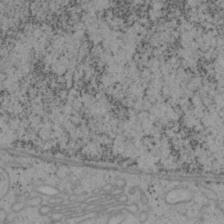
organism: Human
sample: HeLa cells